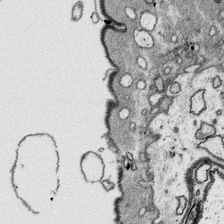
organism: Platynereis dumerilii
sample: Parapodia